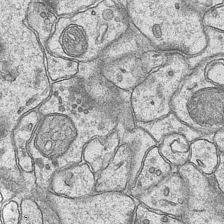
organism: Mouse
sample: CA1 Hippocampus